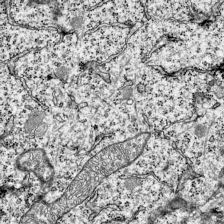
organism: Mouse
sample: Visual Cortex